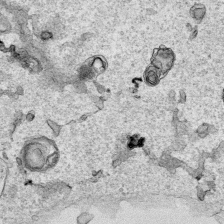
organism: Human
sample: Mitochondria in HCT116 cells